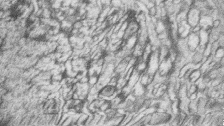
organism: Zebrafish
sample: synaptic ribbons in rod cells and cone cells